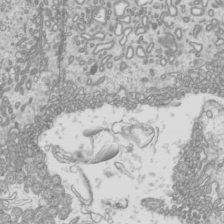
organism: Mouse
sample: Cilia; mouse epididymis